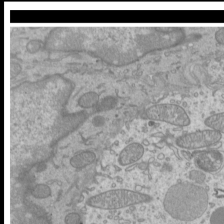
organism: Mouse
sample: Cilia; mouse epididymis